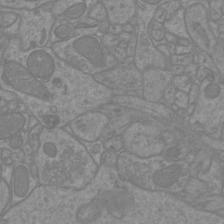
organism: Mouse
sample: Cortical neurons